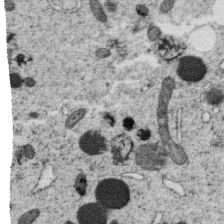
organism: C. elegans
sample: C. elegans oocyte; sperm cells